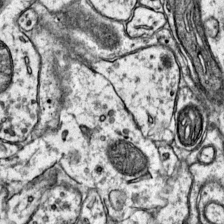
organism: Mouse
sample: Primary visual cortex